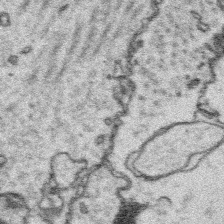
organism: Platynereis dumerilii